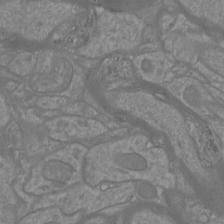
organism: Mouse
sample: Cortical neurons